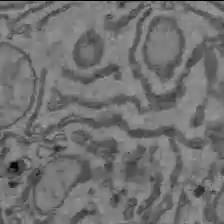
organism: C57BL Mouse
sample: Liver